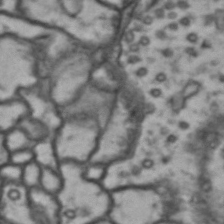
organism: Drosophila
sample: Brain